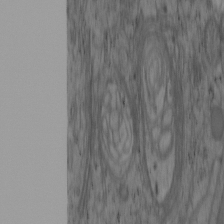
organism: Human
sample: HeLa cells